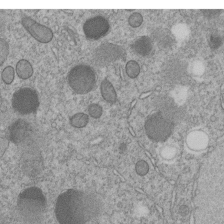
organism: C. elegans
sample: C. elegans embryo early stage